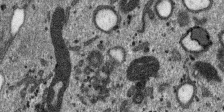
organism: Human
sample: Lung epithelial cells infected with SARS-CoV-2